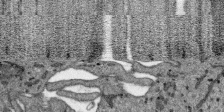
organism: Human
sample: Lung epithelial cells, uninfected (mock) control